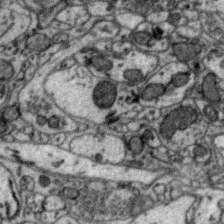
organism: Zebra finch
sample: Brain